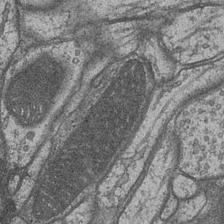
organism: Drosophila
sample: Optic medulla